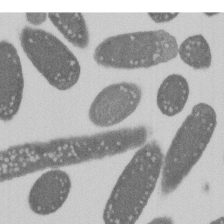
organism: E. coli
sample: Bacterial nucleoid